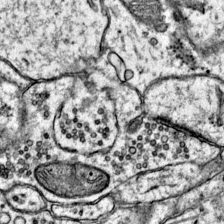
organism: Mouse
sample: Primary visual cortex